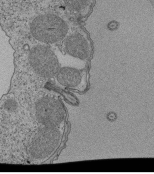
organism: Tetrahymena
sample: Cilia in tetrahymena